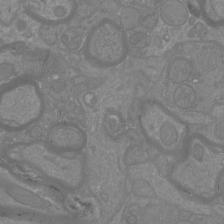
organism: Mouse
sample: Cortical neurons